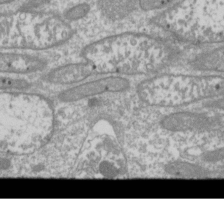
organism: Drosophila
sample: Cell division; meiosis; drosophila spermatocytes